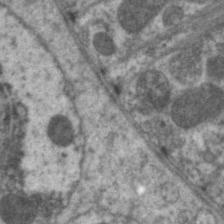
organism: C. elegans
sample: Pharynx